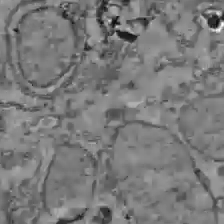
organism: C57BL Mouse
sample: Liver